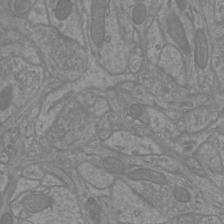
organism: Mouse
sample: Cortical neurons